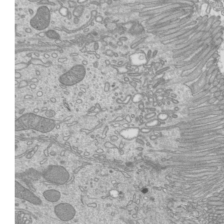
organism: Mouse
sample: Cilia; mouse epididymis